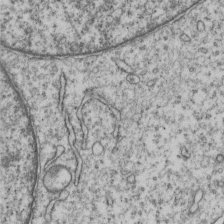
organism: Human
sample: MDA-MB-231 cells